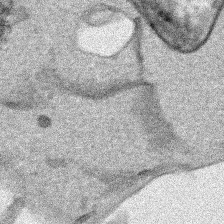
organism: Human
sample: Mitochondria in HCT116 cells